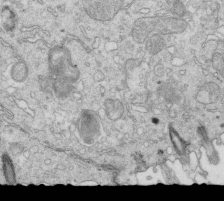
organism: Mouse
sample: Multiciliated cells